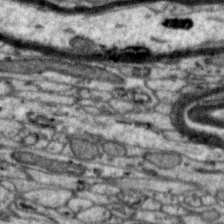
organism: Zebra finch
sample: Brain